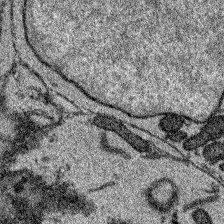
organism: Zebrafish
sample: Larval olfactory bulb